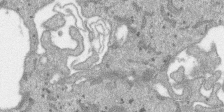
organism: Human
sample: Lung epithelial cells infected with SARS-CoV-2